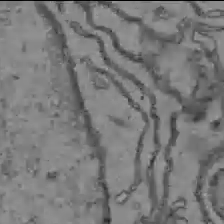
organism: C57BL Mouse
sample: Liver